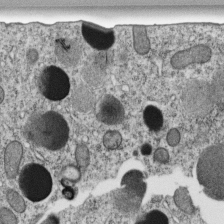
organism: C. elegans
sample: C. elegans embryo early stage